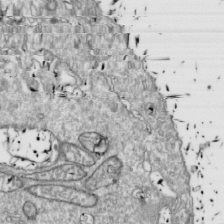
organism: Drosophila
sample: Cell division; meiosis; drosophila spermatocytes